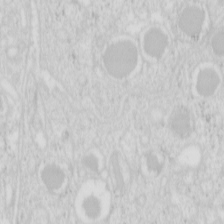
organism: Mouse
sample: Pancreas